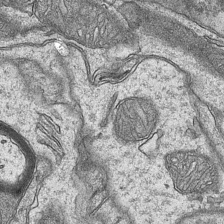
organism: Mouse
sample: CA1 Hippocampus